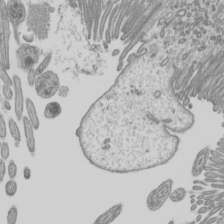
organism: Mouse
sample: Cilia; mouse epididymis